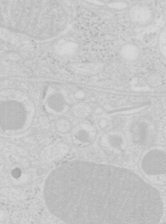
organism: Mouse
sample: Pancreas